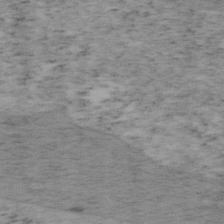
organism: Mouse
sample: OT-I killer T cells with ID8 ovarian cancer cells